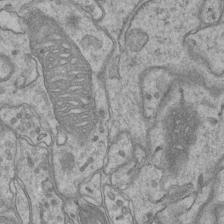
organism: Mouse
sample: CA1 Hippocampus